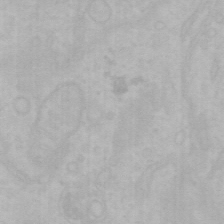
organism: Mouse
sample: Choroid plexus